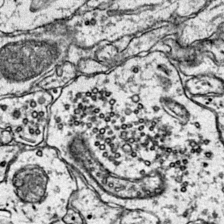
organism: Mouse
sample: Primary visual cortex